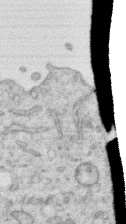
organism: Human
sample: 1205lu cells